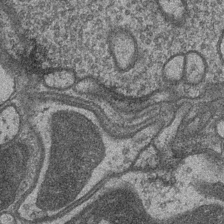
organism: Drosophila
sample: Optic medulla